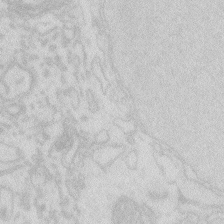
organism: Zebrafish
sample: Macrophage